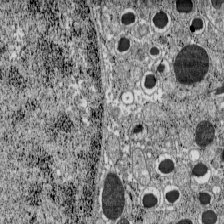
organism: C57BL Mouse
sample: Pancreatic islet